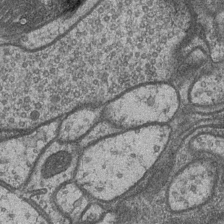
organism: Drosophila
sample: Optic medulla